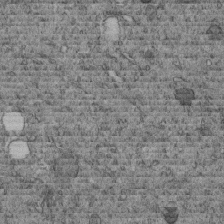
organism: C. elegans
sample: C. elegans embryo early stage